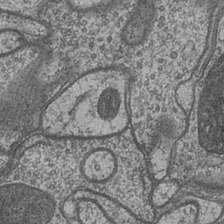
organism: Drosophila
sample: Optic medulla